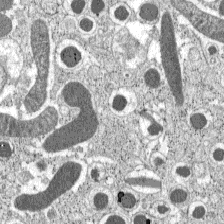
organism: C57BL Mouse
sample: Pancreatic islet